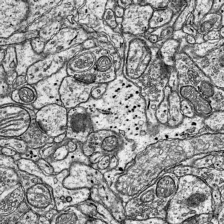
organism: Mouse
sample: Visual Cortex